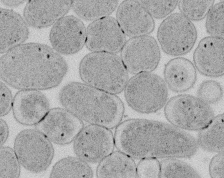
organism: E. coli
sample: Bacterial nucleoid